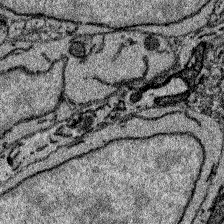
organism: Zebrafish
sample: Larval olfactory bulb